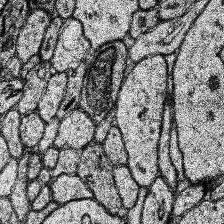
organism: Human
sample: Temporal Lobe